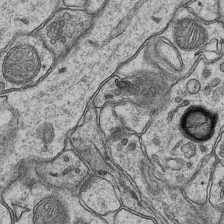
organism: Mouse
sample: CA1 Hippocampus